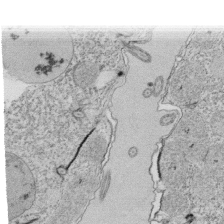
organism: Tetrahymena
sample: Cilia in tetrahymena